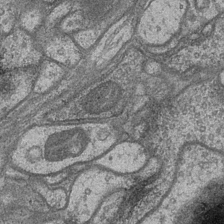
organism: Drosophila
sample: Optic medulla